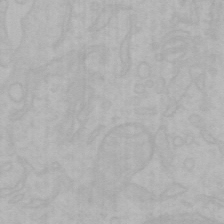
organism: Mouse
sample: Choroid plexus